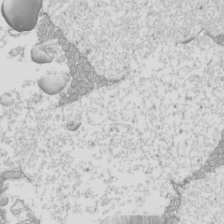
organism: Mouse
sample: Cilia; mouse epididymis